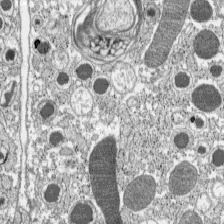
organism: C57BL Mouse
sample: Pancreatic islet